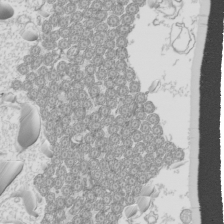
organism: Mouse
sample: Cilia; mouse epididymis